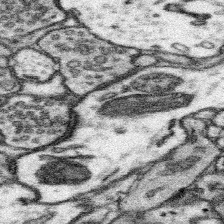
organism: Mouse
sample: Somatosensory cortex neuropil